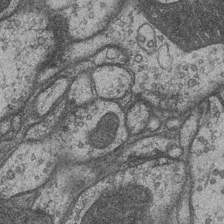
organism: Drosophila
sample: Optic medulla